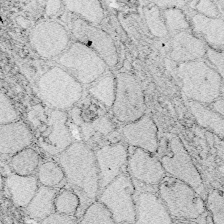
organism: Zebrafish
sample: Whole-Brain